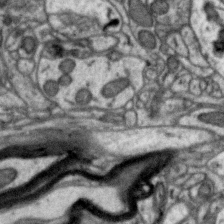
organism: Zebra finch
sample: Brain